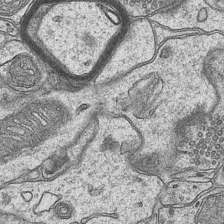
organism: Mouse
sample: CA1 Hippocampus